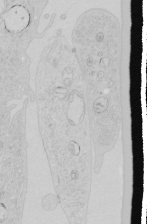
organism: Human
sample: Mitochondria in HCT116 cells